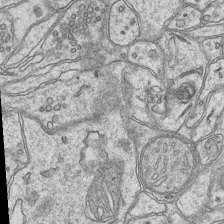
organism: Mouse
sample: CA1 Hippocampus